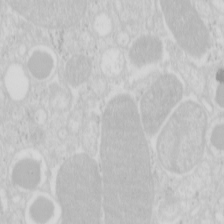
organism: Mouse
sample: Pancreas